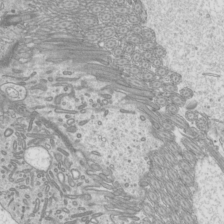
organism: Mouse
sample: Cilia; mouse epididymis